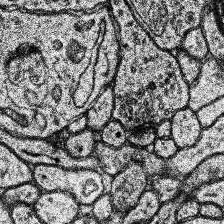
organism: Human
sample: Temporal Lobe